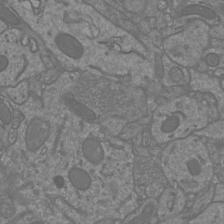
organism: Mouse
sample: Cortical neurons